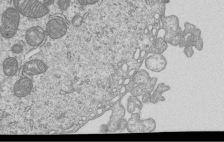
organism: Human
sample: MDA-MB-231 cells